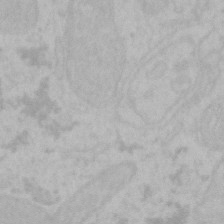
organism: Mouse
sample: Choroid plexus